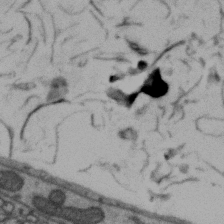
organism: Zebra finch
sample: Brain